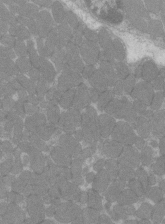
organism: C57BL Mouse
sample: Tibialis anterior muscle cell